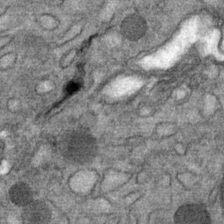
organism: Mouse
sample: Mouse Salivary gland